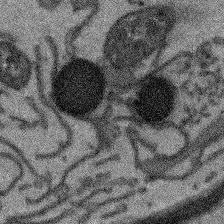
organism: Arabidopsis thaliana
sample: Root tip